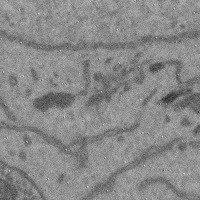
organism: Mouse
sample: Cerebral cortex